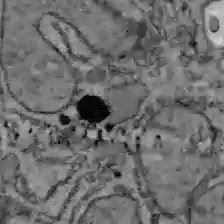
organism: C57BL Mouse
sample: Liver